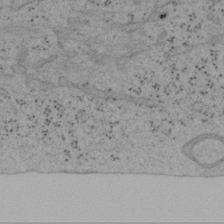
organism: Human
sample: HeLa cells